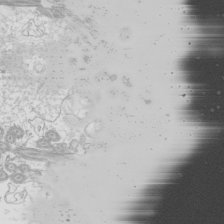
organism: Mouse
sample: Cilia; mouse epididymis